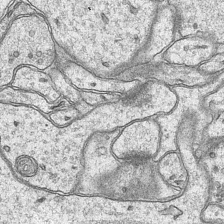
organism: Mouse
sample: CA1 Hippocampus